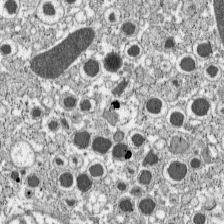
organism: C57BL Mouse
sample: Pancreatic islet